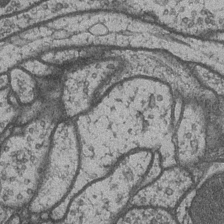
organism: Drosophila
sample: Optic medulla